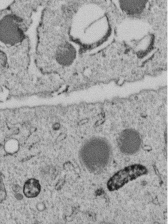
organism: C. elegans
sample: C. elegans embryo early stage